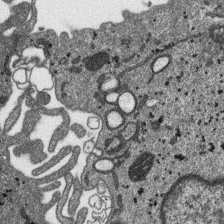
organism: Human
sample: Lung epithelial cells infected with SARS-CoV-2